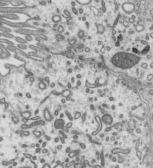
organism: Mouse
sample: Mouse epididymis efferent ductule cilia